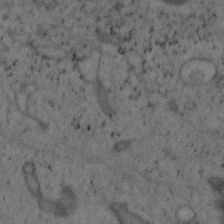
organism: Human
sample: HeLa cells